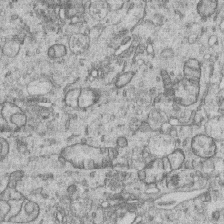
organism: Human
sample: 1205lu cells